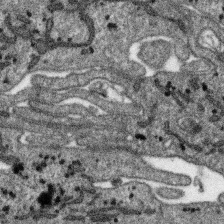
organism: Human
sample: Lung epithelial cells infected with SARS-CoV-2